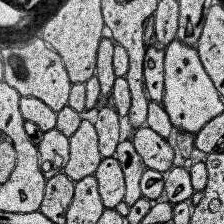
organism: Human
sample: Temporal Lobe